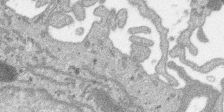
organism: Human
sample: Lung epithelial cells infected with SARS-CoV-2